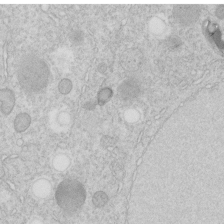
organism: C. elegans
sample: C. elegans embryo early stage